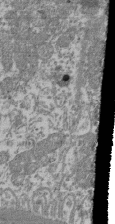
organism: Mouse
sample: Glomerulus